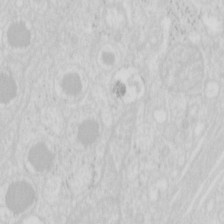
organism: Mouse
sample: Pancreas